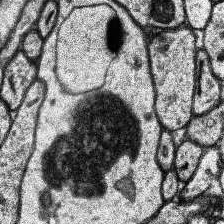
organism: Human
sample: Temporal Lobe